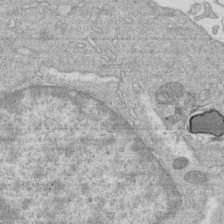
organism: Human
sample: Macrophage cells